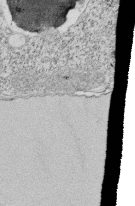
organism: Tetrahymena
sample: Cilia in tetrahymena